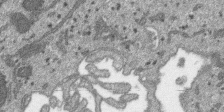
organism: Human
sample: Lung epithelial cells infected with SARS-CoV-2